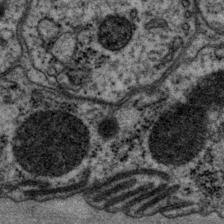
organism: P. pacificus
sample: Pharynx